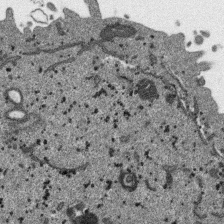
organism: Human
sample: Lung epithelial cells infected with SARS-CoV-2